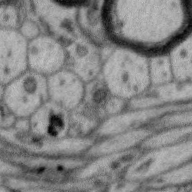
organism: Zebra finch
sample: Brain